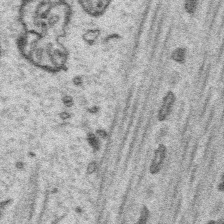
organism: Platynereis dumerilii